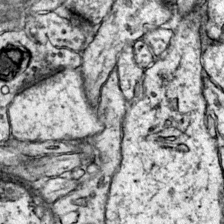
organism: Mouse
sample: Primary visual cortex